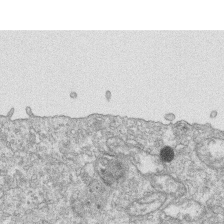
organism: Human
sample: HeLa cell HIV synapse